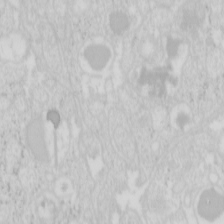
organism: Mouse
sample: Pancreas